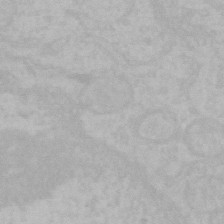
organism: Mouse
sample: Choroid plexus